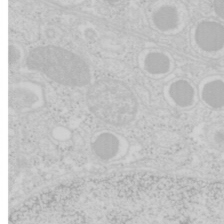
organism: Mouse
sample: Pancreas